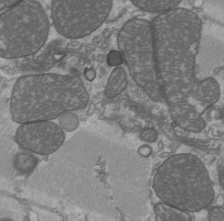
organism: C57BL Mouse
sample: Heart